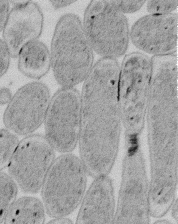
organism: E. coli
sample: Bacterial nucleoid